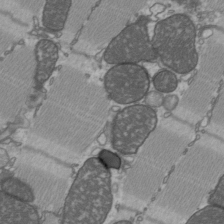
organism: C57BL Mouse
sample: Heart